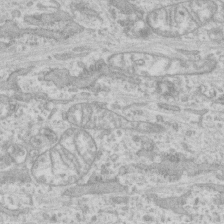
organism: Human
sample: CRL-1474